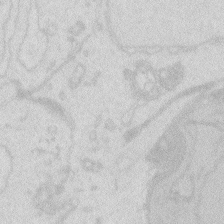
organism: Zebrafish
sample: Macrophage